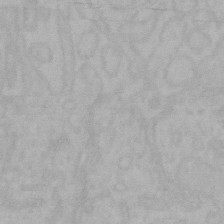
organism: Mouse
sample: Choroid plexus